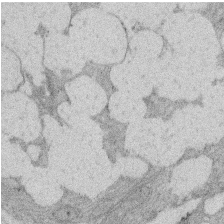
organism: Rat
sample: Salivary granule